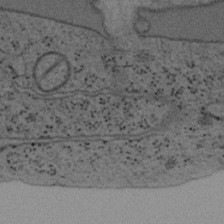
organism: Human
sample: HeLa cells